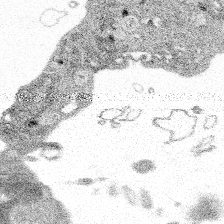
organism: Spongilla lacustris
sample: Multiple